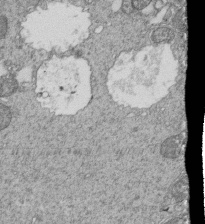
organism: Tetrahymena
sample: Cilia in tetrahymena